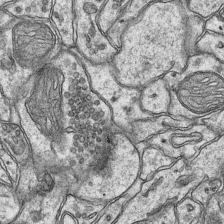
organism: Mouse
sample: CA1 Hippocampus